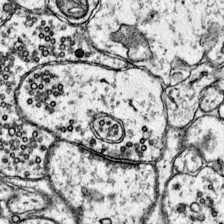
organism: Mouse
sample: Primary visual cortex